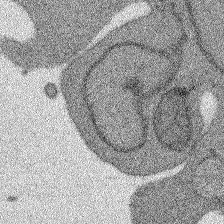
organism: Human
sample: HeLa cells